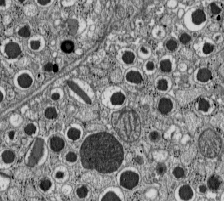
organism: C57BL Mouse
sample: Pancreatic islet